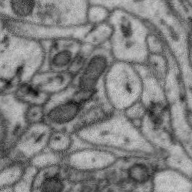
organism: Zebra finch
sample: Brain